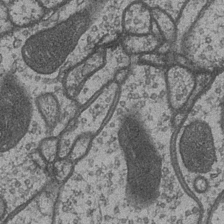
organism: Drosophila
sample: Optic medulla